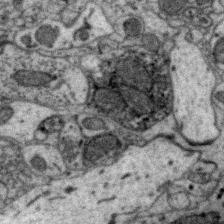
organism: Zebra finch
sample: Brain